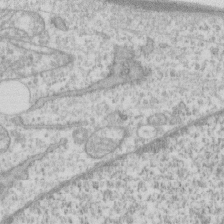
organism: Human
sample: CRL-1474